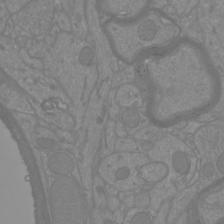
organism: Mouse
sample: Cortical neurons